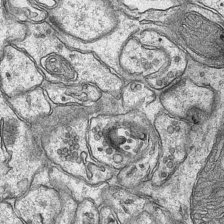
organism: Mouse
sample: CA1 Hippocampus